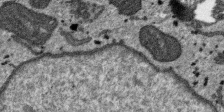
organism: Human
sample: Lung epithelial cells, uninfected (mock) control